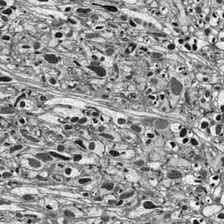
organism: Drosophila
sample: Optic lobe